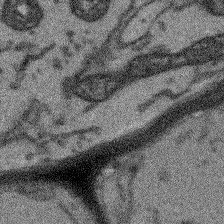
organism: Arabidopsis thaliana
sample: Root tip